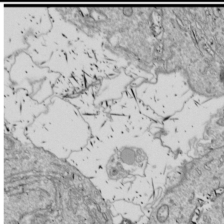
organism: Drosophila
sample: Cell division; meiosis; drosophila spermatocytes